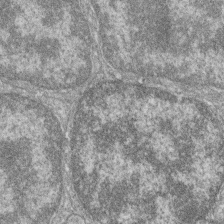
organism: Zebrafish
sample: Cilia; retinal pigment epithelium